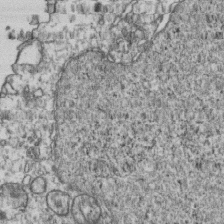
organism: Human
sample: Activated Jurkat CD4+ T cells